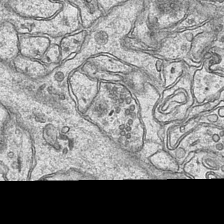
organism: Mouse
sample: CA1 Hippocampus